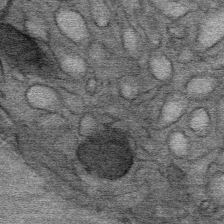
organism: Mouse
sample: Mouse Salivary gland